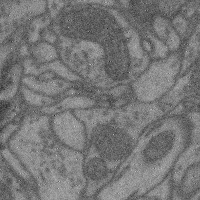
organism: Mouse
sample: Cerebral cortex